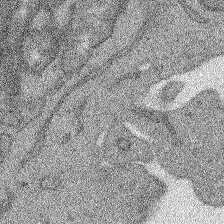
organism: Human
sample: HeLa cells